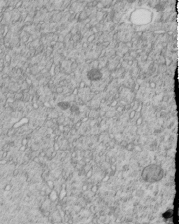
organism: C. elegans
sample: C. elegans embryo early stage